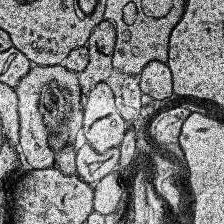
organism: Human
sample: Temporal Lobe